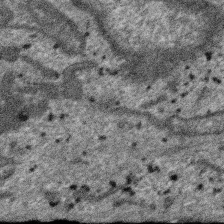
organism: Human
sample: Lung epithelial cells infected with SARS-CoV-2